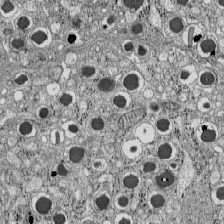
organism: C57BL Mouse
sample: Pancreatic islet